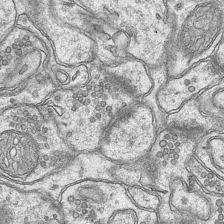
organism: Mouse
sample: CA1 Hippocampus